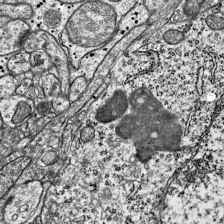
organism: Mouse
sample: Visual Cortex